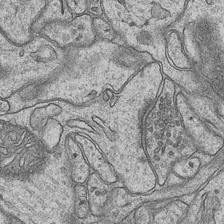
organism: Mouse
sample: CA1 Hippocampus